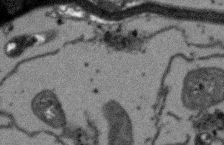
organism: Arabidopsis thaliana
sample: Root tip